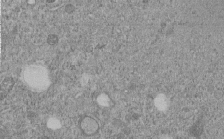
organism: C. elegans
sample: C. elegans embryo early stage